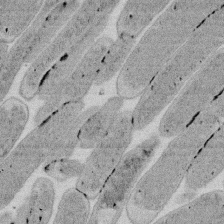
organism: E. coli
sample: Bacterial nucleoid